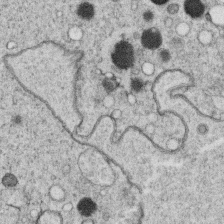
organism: C. elegans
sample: C. elegans oocyte; sperm cells